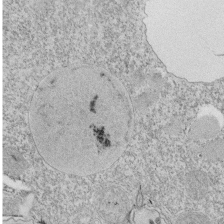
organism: Tetrahymena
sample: Cilia in tetrahymena